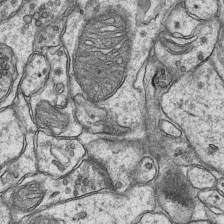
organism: Mouse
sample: CA1 Hippocampus